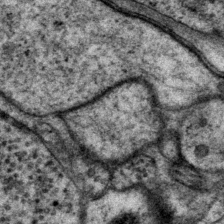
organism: P. pacificus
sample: Pharynx